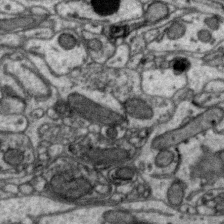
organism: Zebra finch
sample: Brain